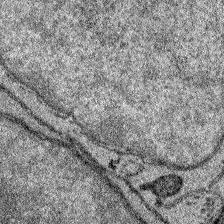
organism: Zebrafish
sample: Larval olfactory bulb